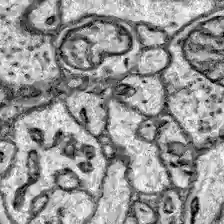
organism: Zebrafish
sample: Brain